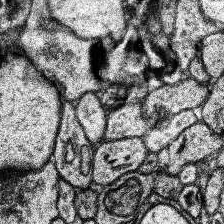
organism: Human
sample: Temporal Lobe